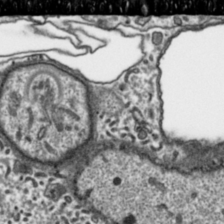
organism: Toxoplasma gondii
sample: Parasites in a vacuole inside a host cell